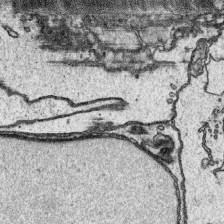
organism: Platynereis dumerilii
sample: Parapodia